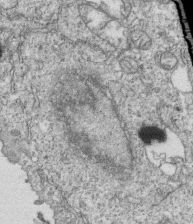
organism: Human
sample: HeLa cell HIV synapse